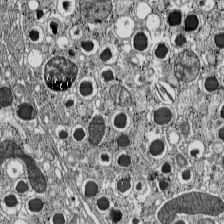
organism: C57BL Mouse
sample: Pancreatic islet